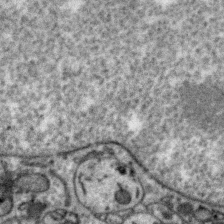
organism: Zebra finch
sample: Brain